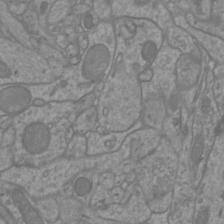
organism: Mouse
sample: Cortical neurons